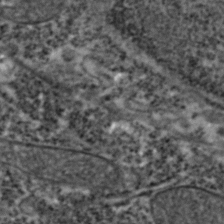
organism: Zebrafish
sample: Zebrafish embryo